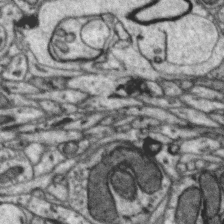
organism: Zebra finch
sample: Brain